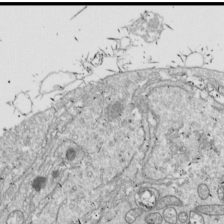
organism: Drosophila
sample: Cell division; meiosis; drosophila spermatocytes